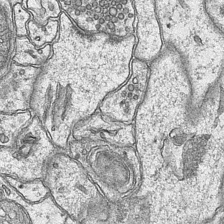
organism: Mouse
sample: CA1 Hippocampus